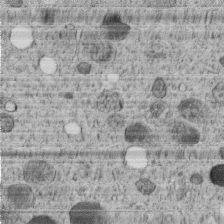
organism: C. elegans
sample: C. elegans embryo early stage